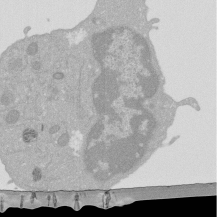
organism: Mouse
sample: Activated Pmel transgenic CD8+ T Cells